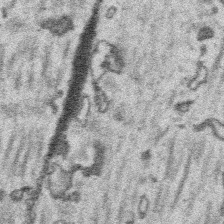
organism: Platynereis dumerilii